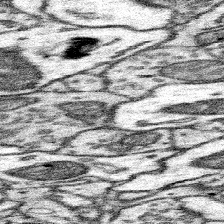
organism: Mouse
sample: Somatosensory cortex neuropil